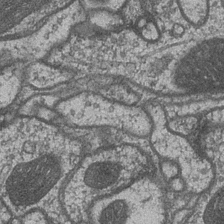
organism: Drosophila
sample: Optic medulla